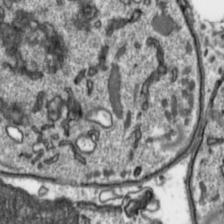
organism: Toxoplasma gondii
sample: Parasites in a vacuole inside a host cell